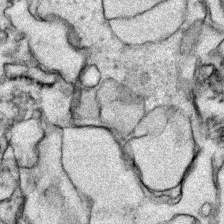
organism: Zebrafish